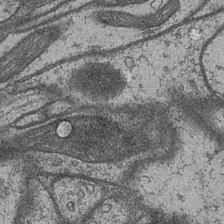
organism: Drosophila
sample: Optic medulla